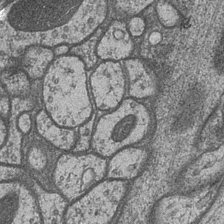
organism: Drosophila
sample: Optic medulla